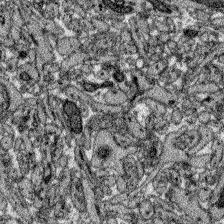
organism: Zebrafish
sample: Larval olfactory bulb